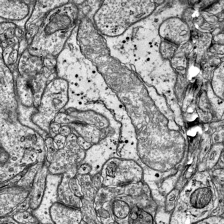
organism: Mouse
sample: Visual Cortex